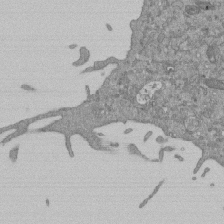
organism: Mouse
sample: ED-1 cell nuclei; centrioles